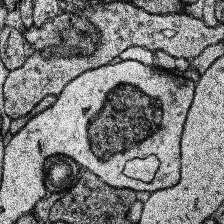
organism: Human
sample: Temporal Lobe